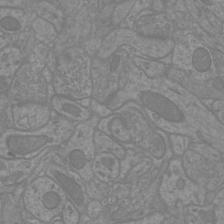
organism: Mouse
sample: Cortical neurons